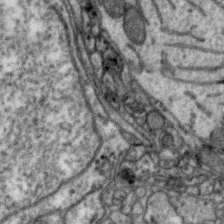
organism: Zebra finch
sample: Brain